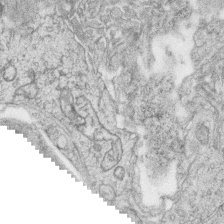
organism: Zebrafish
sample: synaptic ribbons in rod cells and cone cells